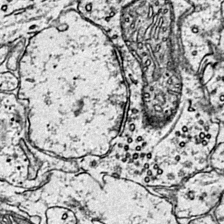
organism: Mouse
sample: Primary visual cortex